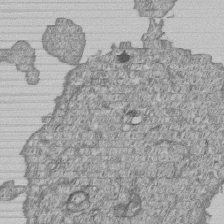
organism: Human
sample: MDA-MB-231 cells